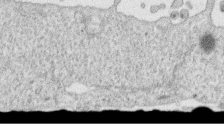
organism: Human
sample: HeLa cell HIV synapse